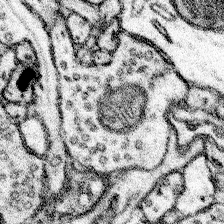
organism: Mouse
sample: Somatosensory cortex neuropil